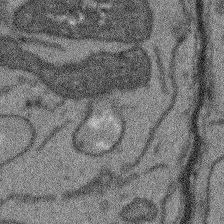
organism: Arabidopsis thaliana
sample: Root tip